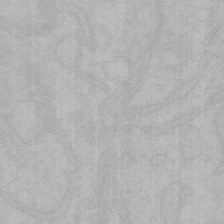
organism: Mouse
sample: Choroid plexus